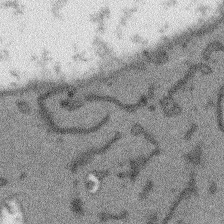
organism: Arabidopsis thaliana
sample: Root tip